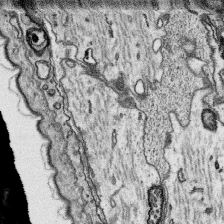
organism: Platynereis dumerilii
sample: Parapodia